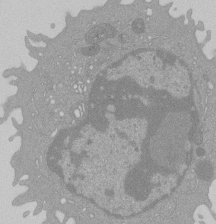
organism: Mouse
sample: Activated Pmel transgenic CD8+ T Cells